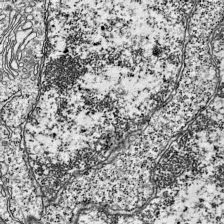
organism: Mouse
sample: Visual Cortex